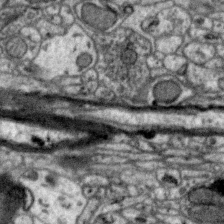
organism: Zebra finch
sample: Brain